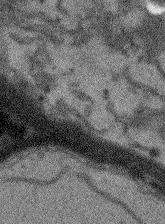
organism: Arabidopsis thaliana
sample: Root tip